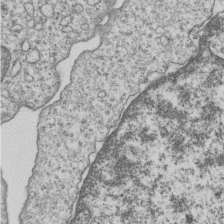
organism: Human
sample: MDA-MB-231 cells